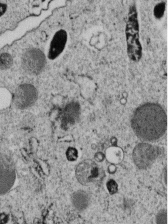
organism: C. elegans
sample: C. elegans embryo early stage